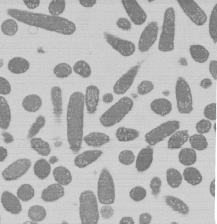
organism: E. coli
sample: Bacterial nucleoid